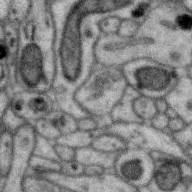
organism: Zebra finch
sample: Brain